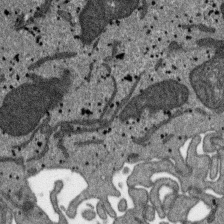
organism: Human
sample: Lung epithelial cells, uninfected (mock) control